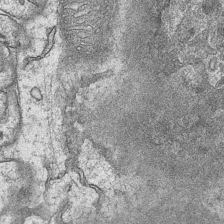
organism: Mouse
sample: CA1 Hippocampus